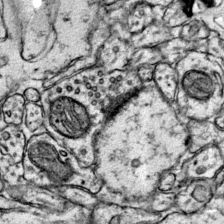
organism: Mouse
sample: Primary visual cortex